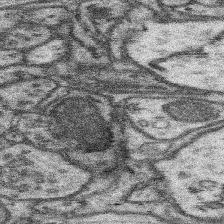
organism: Mouse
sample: Somatosensory cortex neuropil